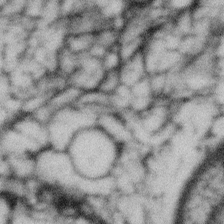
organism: Gemmata obscuriglobus